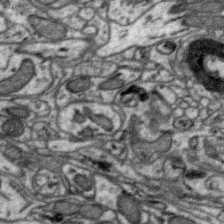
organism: Zebra finch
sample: Brain